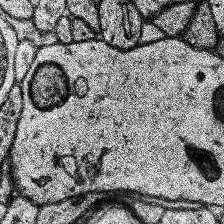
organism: Human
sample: Temporal Lobe